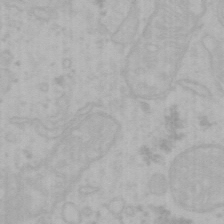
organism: Mouse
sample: Choroid plexus